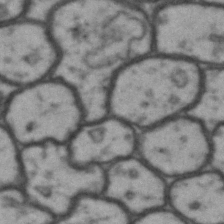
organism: Drosophila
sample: Brain